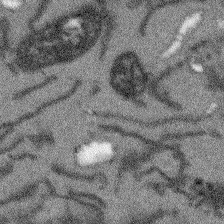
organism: Arabidopsis thaliana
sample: Root tip